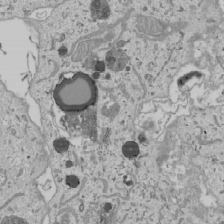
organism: Human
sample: Mitochondria in U2OS cells